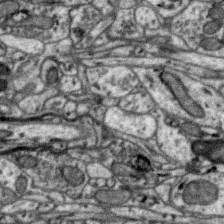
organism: Zebra finch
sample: Brain